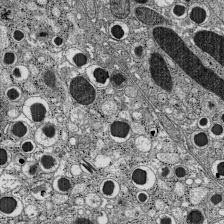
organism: C57BL Mouse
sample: Pancreatic islet